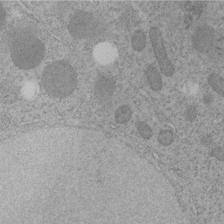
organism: C. elegans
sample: C. elegans embryo early stage